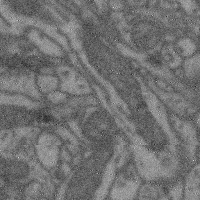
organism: Mouse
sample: Cerebral cortex